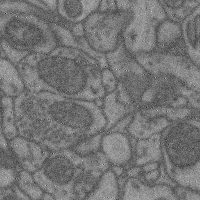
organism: Mouse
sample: Cerebral cortex